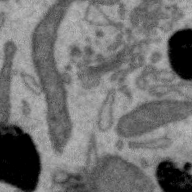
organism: Zebra finch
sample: Brain